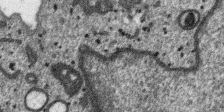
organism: Human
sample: Lung epithelial cells infected with SARS-CoV-2